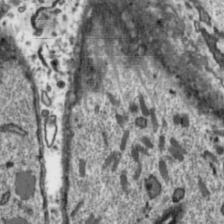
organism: Toxoplasma gondii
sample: Parasites in a vacuole inside a host cell